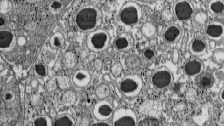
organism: C57BL Mouse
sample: Pancreatic islet